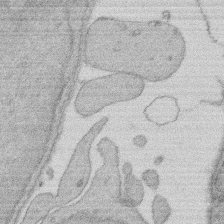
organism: Rat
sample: Salivary granule